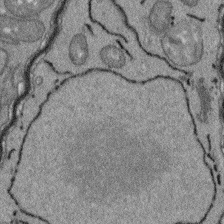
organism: Arabidopsis thaliana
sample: Root tip